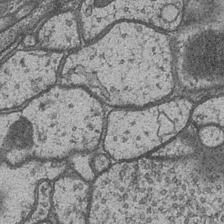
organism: Drosophila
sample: Optic medulla